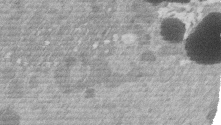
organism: Mouse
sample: Dividing mouse embryo 1 cell stage